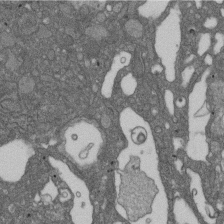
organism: Drosophila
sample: Nephrocyte